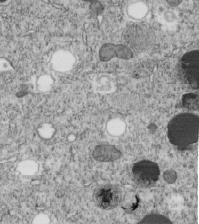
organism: C. elegans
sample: C. elegans embryo early stage